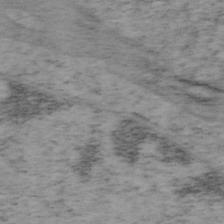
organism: Mouse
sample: OT-I killer T cells with ID8 ovarian cancer cells